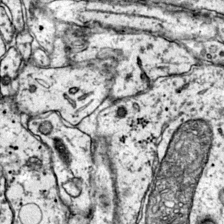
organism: Mouse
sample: Primary visual cortex